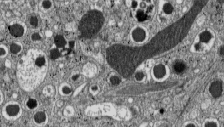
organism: C57BL Mouse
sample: Pancreatic islet